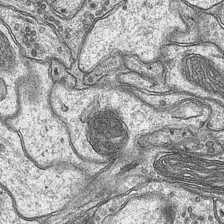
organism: Mouse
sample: CA1 Hippocampus